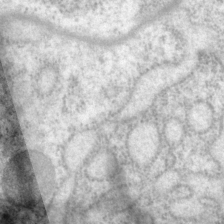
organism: P. pacificus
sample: Pharynx